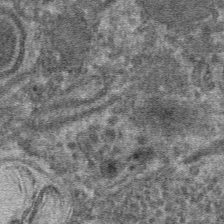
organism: Mouse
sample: Mouse hepatocytes